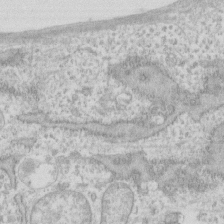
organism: Human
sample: Fibroblast cells